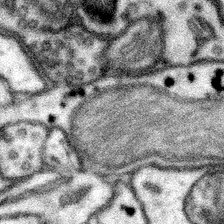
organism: Mouse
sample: Somatosensory cortex neuropil